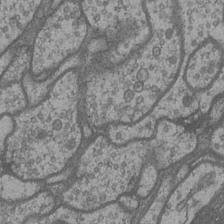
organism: Drosophila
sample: Optic medulla